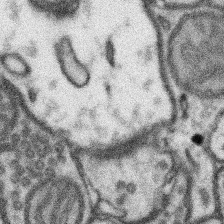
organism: Mouse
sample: Somatosensory cortex neuropil